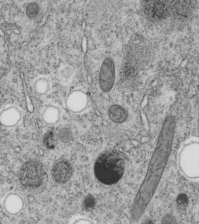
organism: C. elegans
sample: C. elegans embryo early stage